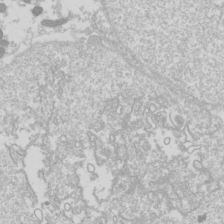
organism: Drosophila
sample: Cell division; meiosis; drosophila spermatocytes